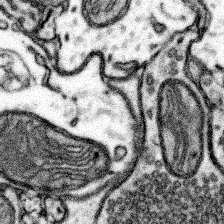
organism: Mouse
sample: Somatosensory cortex neuropil